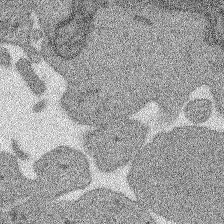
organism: Human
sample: HeLa cells